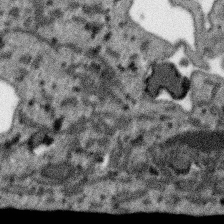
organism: Human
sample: Lung epithelial cells infected with SARS-CoV-2